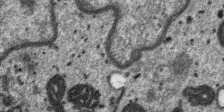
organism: Human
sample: Lung epithelial cells infected with SARS-CoV-2